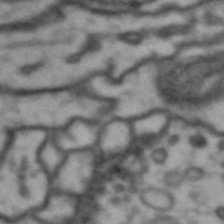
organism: Drosophila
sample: Brain